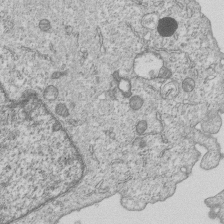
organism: Human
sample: MDA-MB-231 cells